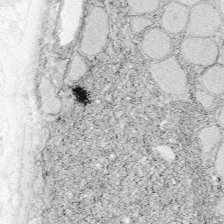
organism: Zebrafish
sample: Whole-Brain